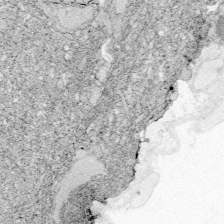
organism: Zebrafish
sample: Whole-Brain